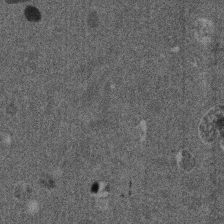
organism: Mouse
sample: Dividing mouse embryo 1 cell stage